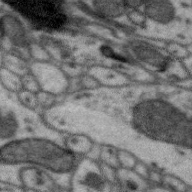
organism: Zebra finch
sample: Brain